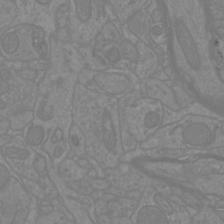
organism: Mouse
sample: Cortical neurons